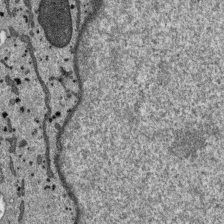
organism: Human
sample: Lung epithelial cells, uninfected (mock) control